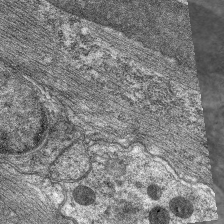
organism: C. elegans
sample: Pharynx